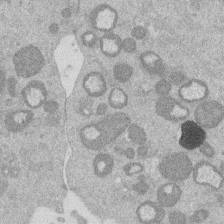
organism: Mouse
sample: Dividing mouse embryo 1 cell stage